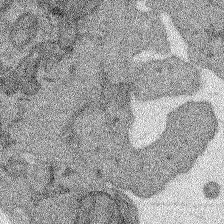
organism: Human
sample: HeLa cells